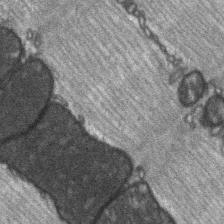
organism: C57BL Mouse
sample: Soleus